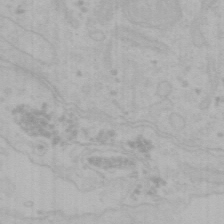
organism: Mouse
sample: Choroid plexus